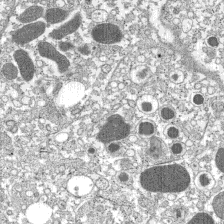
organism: C57BL Mouse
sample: Pancreatic islet